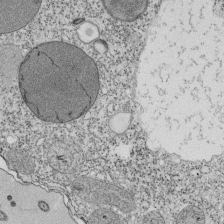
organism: Tetrahymena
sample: Cilia in tetrahymena